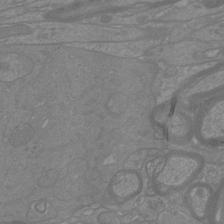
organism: Mouse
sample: Cortical neurons